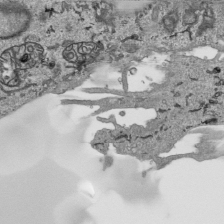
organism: Human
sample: Mitochondria in HCT116 cells